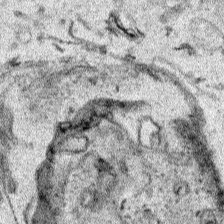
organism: Human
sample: Mitochondria in HCT116 cells